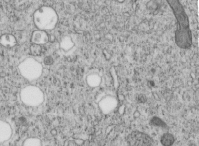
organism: C. elegans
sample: C. elegans embryo early stage